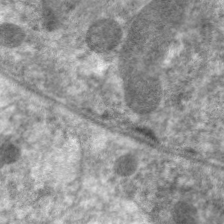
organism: C. elegans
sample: Pharynx